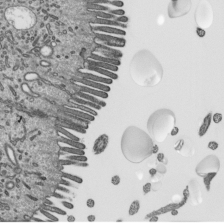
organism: Mouse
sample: Mouse epididymis efferent ductule cilia